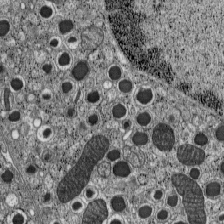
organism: C57BL Mouse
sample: Pancreatic islet